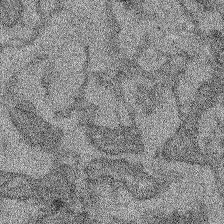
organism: Human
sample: HeLa cells